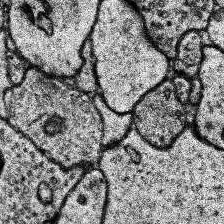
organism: Human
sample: Temporal Lobe